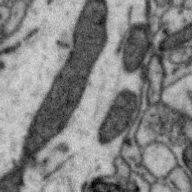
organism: Zebra finch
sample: Brain